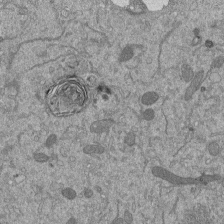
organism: Mouse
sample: ED-1 cell nuclei; centrioles